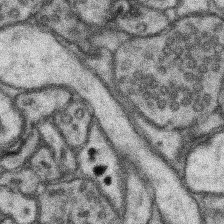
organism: Mouse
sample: Somatosensory cortex neuropil